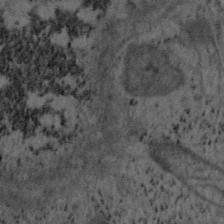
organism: Human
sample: HeLa cells